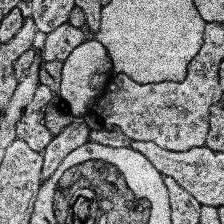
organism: Human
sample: Temporal Lobe